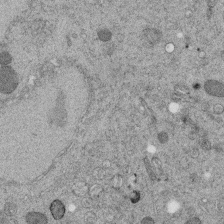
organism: C. elegans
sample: C. elegans embryo early stage